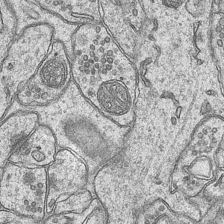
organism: Mouse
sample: CA1 Hippocampus